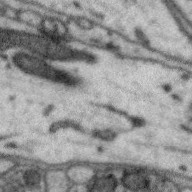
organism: Zebra finch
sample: Brain